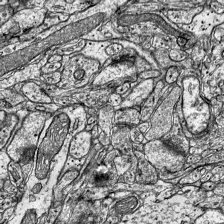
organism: Mouse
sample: Visual Cortex